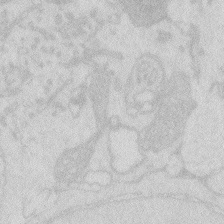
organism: Zebrafish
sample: Macrophage